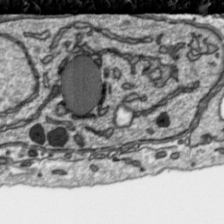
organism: Toxoplasma gondii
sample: Parasites in a vacuole inside a host cell